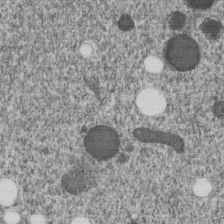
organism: C. elegans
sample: C. elegans embryo early stage